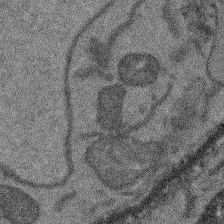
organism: Arabidopsis thaliana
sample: Root tip